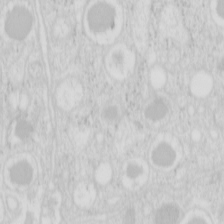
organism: Mouse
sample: Pancreas